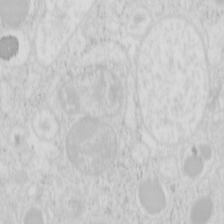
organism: Mouse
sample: Pancreas